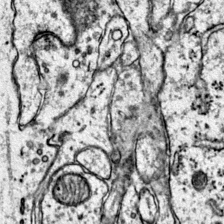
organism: Mouse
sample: Primary visual cortex